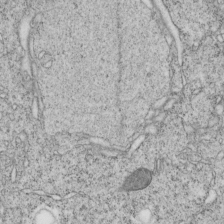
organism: C. elegans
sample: C. elegans embryo early stage